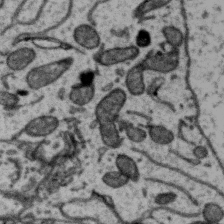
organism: Zebra finch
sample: Brain